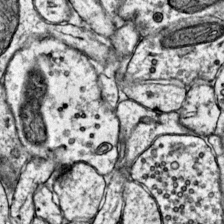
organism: Mouse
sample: Primary visual cortex